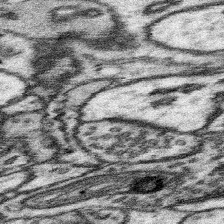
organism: Mouse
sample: Somatosensory cortex neuropil